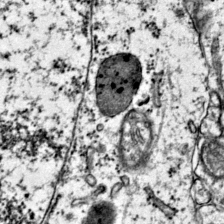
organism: Mouse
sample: Primary visual cortex